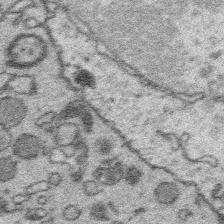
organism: Platynereis dumerilii